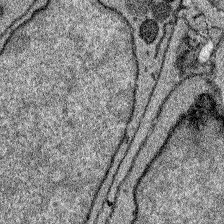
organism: Zebrafish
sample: Larval olfactory bulb